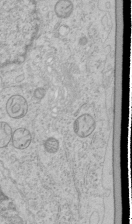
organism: Human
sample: Mitochondria in HCT116 cells